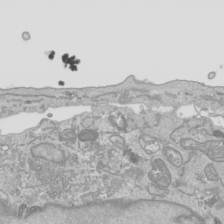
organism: Human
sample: Mitochondria in HCT116 cells